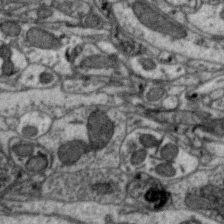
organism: Zebra finch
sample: Brain